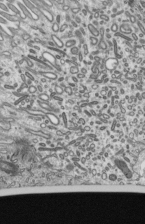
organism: Mouse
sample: Mouse epididymis efferent ductule cilia